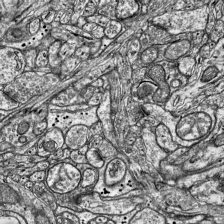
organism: Mouse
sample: Visual Cortex